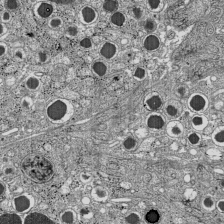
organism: C57BL Mouse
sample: Pancreatic islet